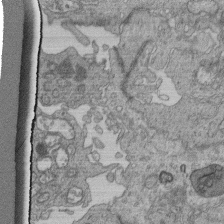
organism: Human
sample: Retinal organoid Rod and Cone cells